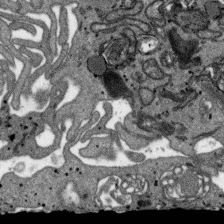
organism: Human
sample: Lung epithelial cells, uninfected (mock) control